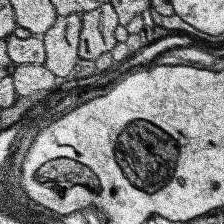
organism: Human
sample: Temporal Lobe